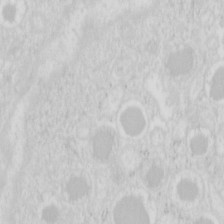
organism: Mouse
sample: Pancreas